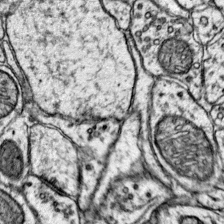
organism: Mouse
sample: Primary visual cortex